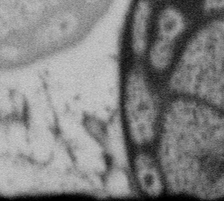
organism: Gemmata obscuriglobus